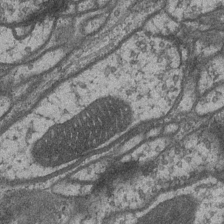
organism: Drosophila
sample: Optic medulla